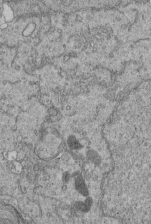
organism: Human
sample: Retinal organoid Rod and Cone cells